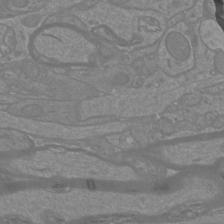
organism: Mouse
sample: Cortical neurons